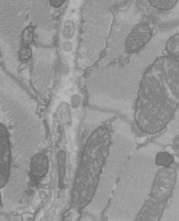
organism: C57BL Mouse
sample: Heart